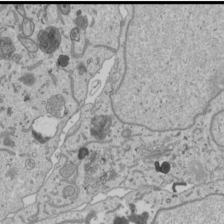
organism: Human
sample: Mitochondria in U2OS cells